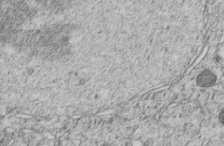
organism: C. elegans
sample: C. elegans embryo early stage